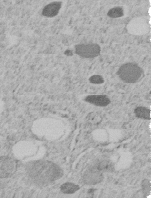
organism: C. elegans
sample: C. elegans embryo early stage